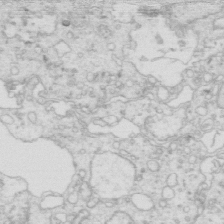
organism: Mouse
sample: Multiciliated cells